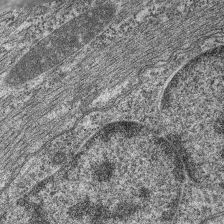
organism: C. elegans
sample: Pharynx